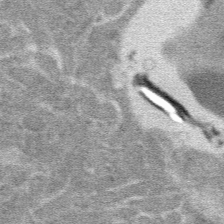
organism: Mouse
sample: Mouse hepatocytes